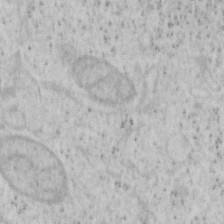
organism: Human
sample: HeLa cells